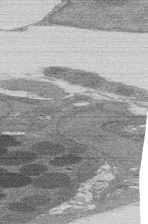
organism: Rat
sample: Salivary granule